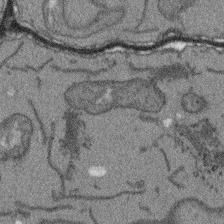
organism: Arabidopsis thaliana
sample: Root tip